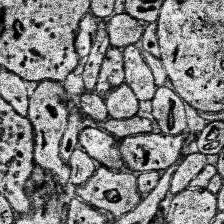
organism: Human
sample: Temporal Lobe